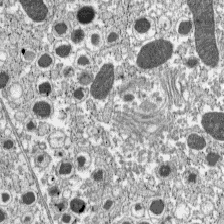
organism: C57BL Mouse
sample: Pancreatic islet